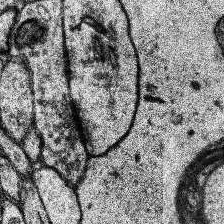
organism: Human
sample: Temporal Lobe